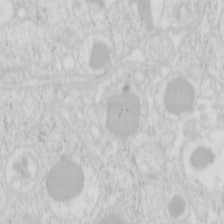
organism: Mouse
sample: Pancreas